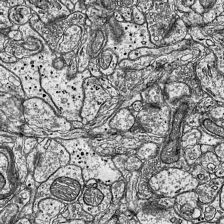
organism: Mouse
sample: Visual Cortex